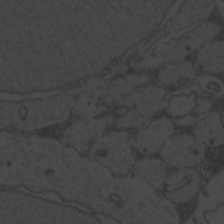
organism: Zebrafish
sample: Macrophage infected with Toxoplasma gondii